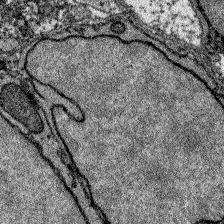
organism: Zebrafish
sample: Larval olfactory bulb